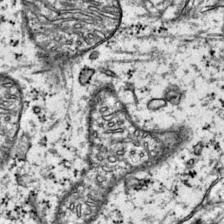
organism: Mouse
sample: Primary visual cortex